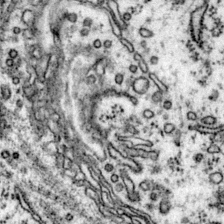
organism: Mouse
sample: Primary visual cortex